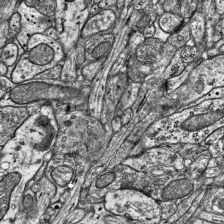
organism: Mouse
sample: Visual Cortex